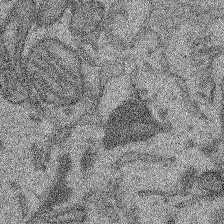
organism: Human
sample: HeLa cells